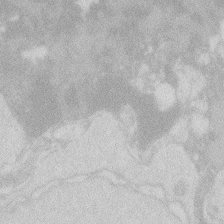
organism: Zebrafish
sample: Macrophage